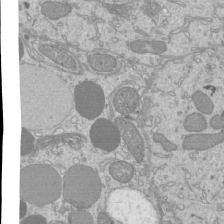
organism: Mouse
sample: Cilia; mouse epididymis